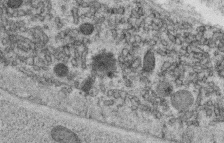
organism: C. elegans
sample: C. elegans oocyte; sperm cells